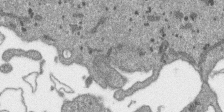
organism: Human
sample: Lung epithelial cells infected with SARS-CoV-2